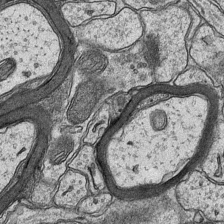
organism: Mouse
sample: CA1 Hippocampus